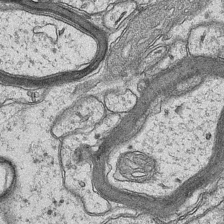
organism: Mouse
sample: CA1 Hippocampus